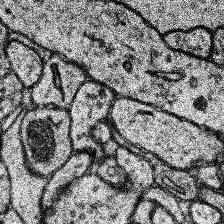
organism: Human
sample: Temporal Lobe